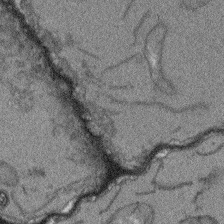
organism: Arabidopsis thaliana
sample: Root tip